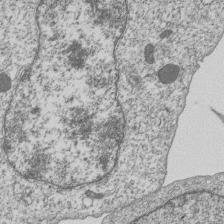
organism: Human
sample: MDA-MB-231 cells